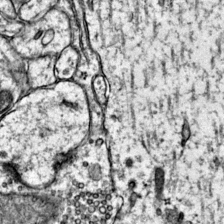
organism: Mouse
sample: Primary visual cortex